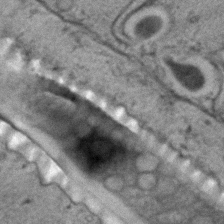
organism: C. elegans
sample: C. elegans embryo